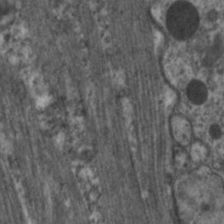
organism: C. elegans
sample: Pharynx